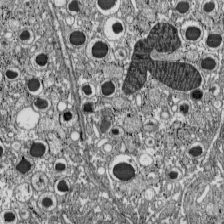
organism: C57BL Mouse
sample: Pancreatic islet